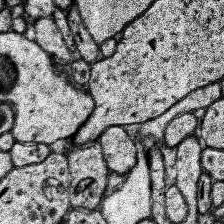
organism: Human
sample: Temporal Lobe